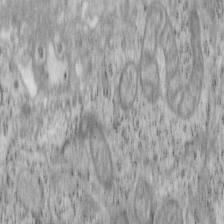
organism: Human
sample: HeLa cells